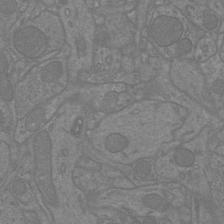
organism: Mouse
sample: Cortical neurons